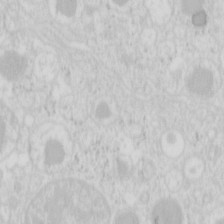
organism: Mouse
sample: Pancreas